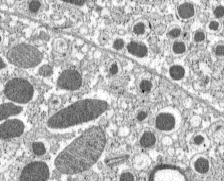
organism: C57BL Mouse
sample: Pancreatic islet